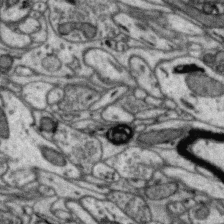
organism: Zebra finch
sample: Brain